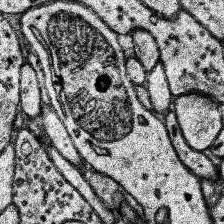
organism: Human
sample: Temporal Lobe